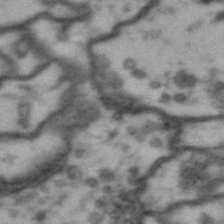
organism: Drosophila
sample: Brain